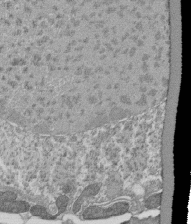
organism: Tetrahymena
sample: Cilia in tetrahymena